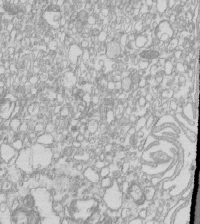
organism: Mouse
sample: Macrophages